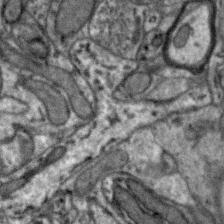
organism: Zebra finch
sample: Brain